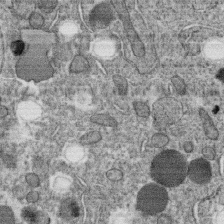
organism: C. elegans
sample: C. elegans oocyte; sperm cells